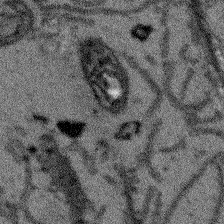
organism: Arabidopsis thaliana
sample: Root tip